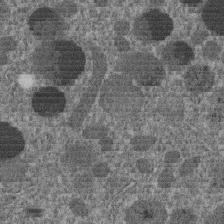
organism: C. elegans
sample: C. elegans embryo early stage